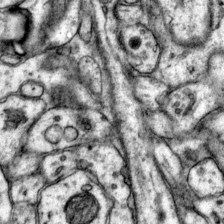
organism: Mouse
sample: Primary visual cortex